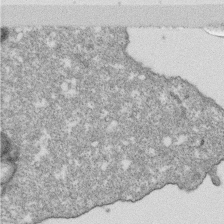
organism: African green monkey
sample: Vero E6 cells infected with SARS-CoV-2